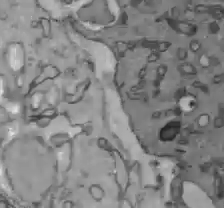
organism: C57BL Mouse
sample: Liver